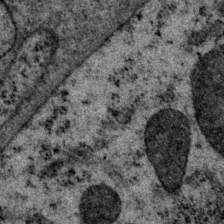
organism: P. pacificus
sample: Pharynx